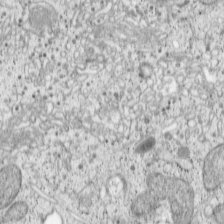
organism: African green monkey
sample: COS-7 cells